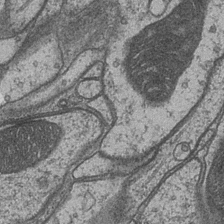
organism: Drosophila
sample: Optic medulla